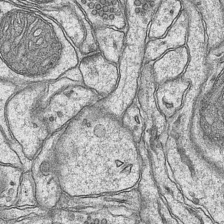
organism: Mouse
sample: CA1 Hippocampus